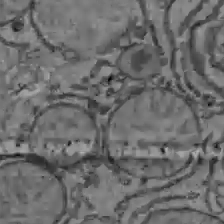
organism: C57BL Mouse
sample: Liver